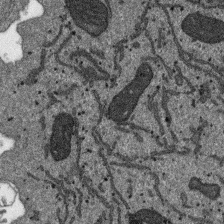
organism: Human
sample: Lung epithelial cells infected with SARS-CoV-2